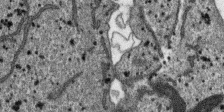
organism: Human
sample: Lung epithelial cells infected with SARS-CoV-2